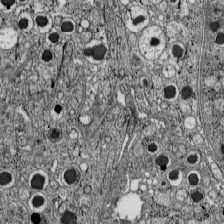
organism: C57BL Mouse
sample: Pancreatic islet